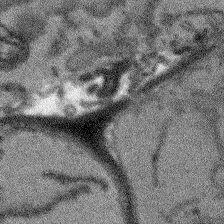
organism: Arabidopsis thaliana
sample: Root tip